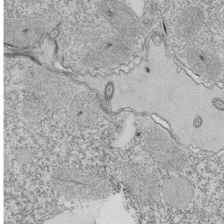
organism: Tetrahymena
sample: Cilia in tetrahymena